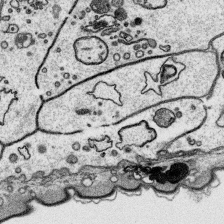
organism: Platynereis dumerilii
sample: Parapodia